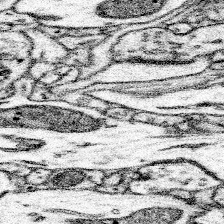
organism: Mouse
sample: Somatosensory cortex neuropil